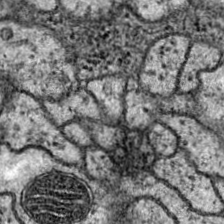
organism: Drosophila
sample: Ventral Nerve Cord